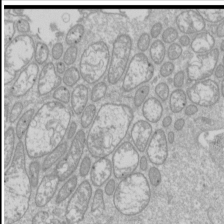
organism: Drosophila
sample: Cell division; meiosis; drosophila spermatocytes